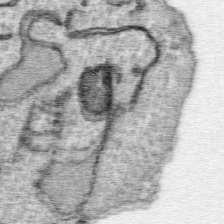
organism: Human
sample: HeLa cells